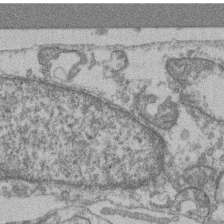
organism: Mouse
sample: T cell stromal cell synapse